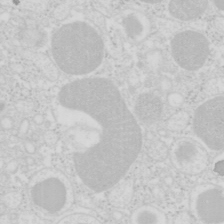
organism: Mouse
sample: Pancreas